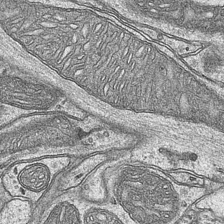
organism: Mouse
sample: CA1 Hippocampus